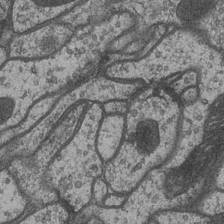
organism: Drosophila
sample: Optic medulla